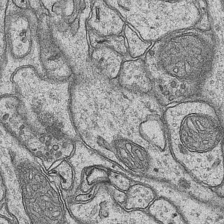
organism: Mouse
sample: CA1 Hippocampus